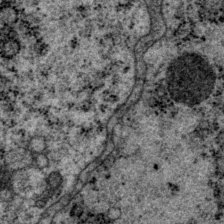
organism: P. pacificus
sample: Pharynx